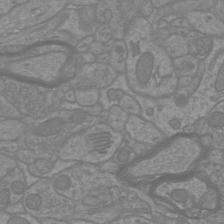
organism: Mouse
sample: Cortical neurons